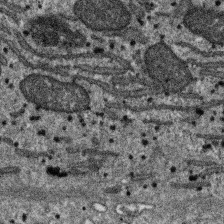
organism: Human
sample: Lung epithelial cells infected with SARS-CoV-2